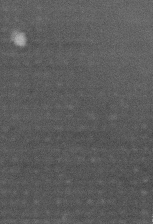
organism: Mouse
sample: Centriole in ependymal cells